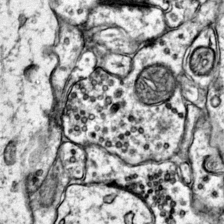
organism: Mouse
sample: Primary visual cortex